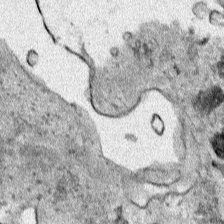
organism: Human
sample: Mitochondria in HCT116 cells